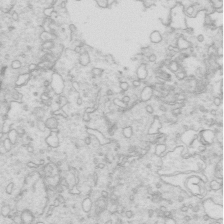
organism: Mouse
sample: Multiciliated cells